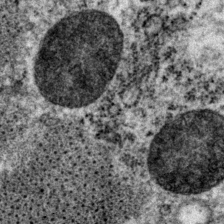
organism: P. pacificus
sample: Pharynx